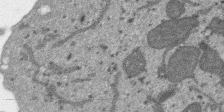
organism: Human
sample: Lung epithelial cells infected with SARS-CoV-2